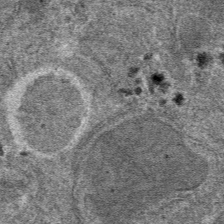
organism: Mouse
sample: Mouse hepatocytes